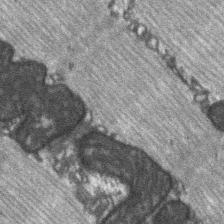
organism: C57BL Mouse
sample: Soleus